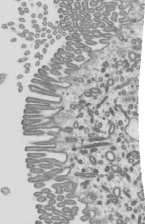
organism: Mouse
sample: Mouse epididymis efferent ductule cilia